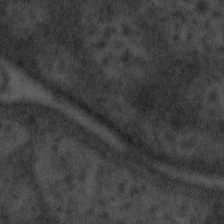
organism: Tuwongella immobilis